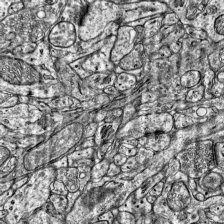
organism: Mouse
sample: Visual Cortex